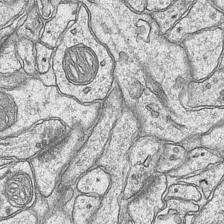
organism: Mouse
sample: CA1 Hippocampus